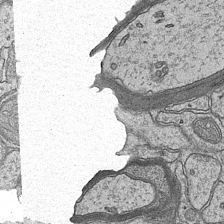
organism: Mouse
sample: CA1 Hippocampus